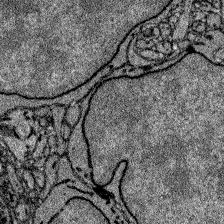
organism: Zebrafish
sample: Larval olfactory bulb